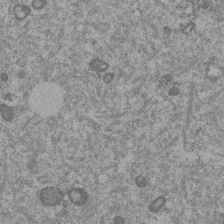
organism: Mouse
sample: Dividing mouse embryo 1 cell stage